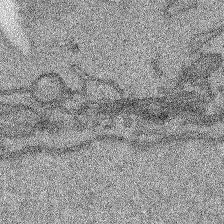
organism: Human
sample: HeLa cells